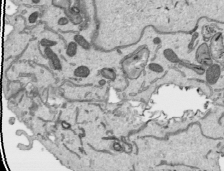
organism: Human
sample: Mitochondria in HCT116 cells